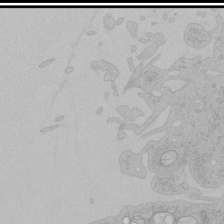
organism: Human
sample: Mitochondria in HCT116 cells